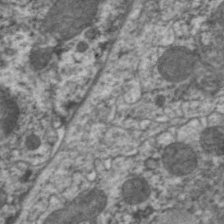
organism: C. elegans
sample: Pharynx